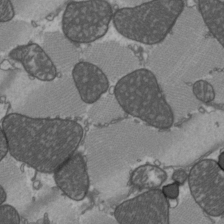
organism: C57BL Mouse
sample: Heart